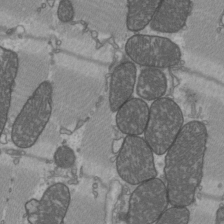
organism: C57BL Mouse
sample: Heart